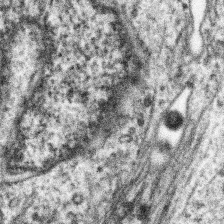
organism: Human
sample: HeLa cells